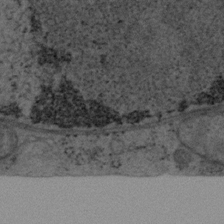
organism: Human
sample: HeLa cells